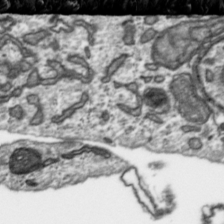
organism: Toxoplasma gondii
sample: Parasites in a vacuole inside a host cell